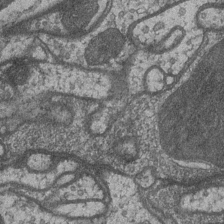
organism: Drosophila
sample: Optic medulla